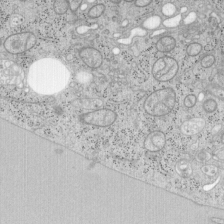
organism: Mouse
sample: OT-I killer T cells with ID8 ovarian cancer cells